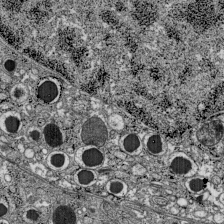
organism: C57BL Mouse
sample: Pancreatic islet